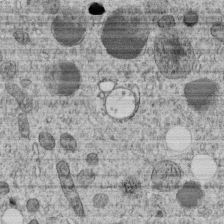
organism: C. elegans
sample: C. elegans embryo early stage